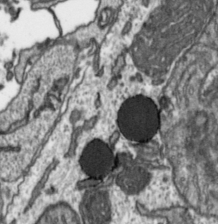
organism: Toxoplasma gondii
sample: Parasites in a vacuole inside a host cell